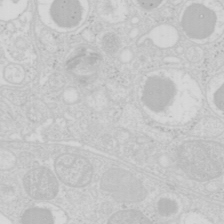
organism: Mouse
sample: Pancreas